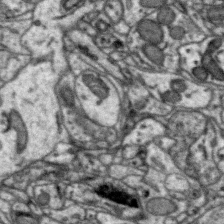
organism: Zebra finch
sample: Brain